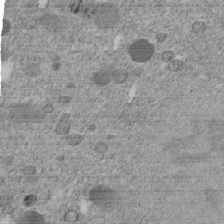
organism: C. elegans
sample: C. elegans embryo early stage